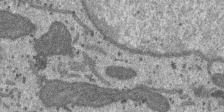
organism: Human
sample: Lung epithelial cells infected with SARS-CoV-2